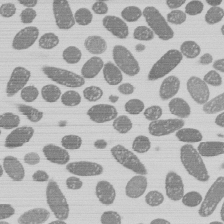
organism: E. coli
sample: Bacterial nucleoid